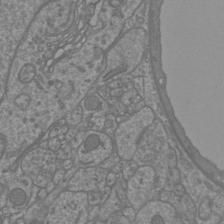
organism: Mouse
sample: Cortical neurons